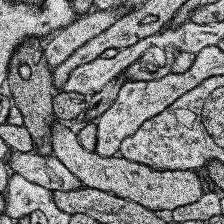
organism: Human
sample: Temporal Lobe